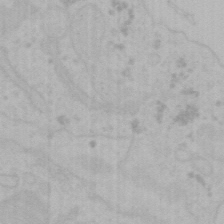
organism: Mouse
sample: Choroid plexus